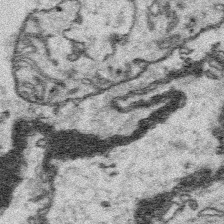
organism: Platynereis dumerilii